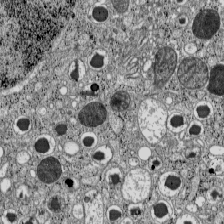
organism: C57BL Mouse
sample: Pancreatic islet